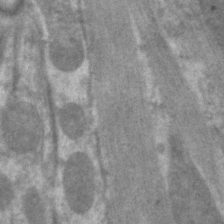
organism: C. elegans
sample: Pharynx